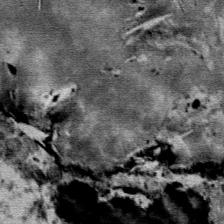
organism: Mouse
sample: Mouse Salivary gland